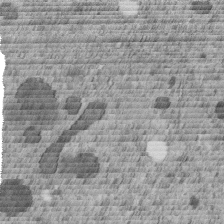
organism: C. elegans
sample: C. elegans embryo early stage